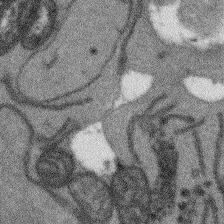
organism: Arabidopsis thaliana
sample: Root tip